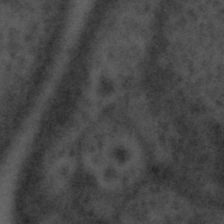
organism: Tuwongella immobilis